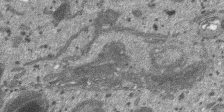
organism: Human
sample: Lung epithelial cells infected with SARS-CoV-2